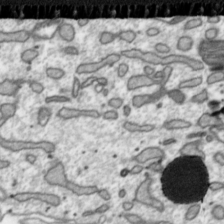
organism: Toxoplasma gondii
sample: Parasites in a vacuole inside a host cell